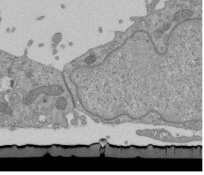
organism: Mouse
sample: ED-1 cell nuclei; centrioles